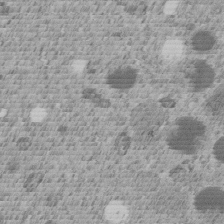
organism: C. elegans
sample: C. elegans embryo early stage